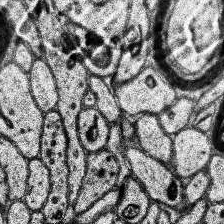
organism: Human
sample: Temporal Lobe